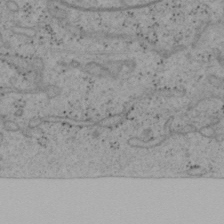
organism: Human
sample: HeLa cells